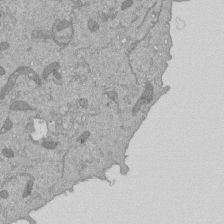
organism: Mouse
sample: ED-1 cell nuclei; centrioles